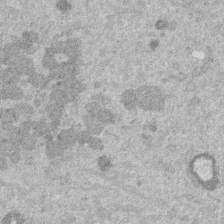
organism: Mouse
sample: Dividing mouse embryo 1 cell stage